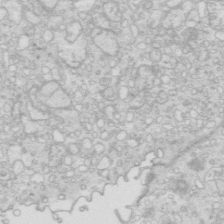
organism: Mouse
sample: Multiciliated cells